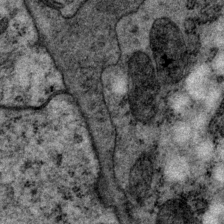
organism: P. pacificus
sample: Pharynx